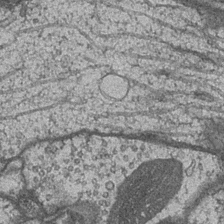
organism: Drosophila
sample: Optic medulla